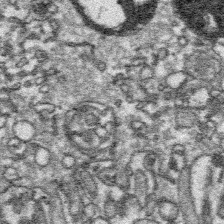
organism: Platynereis dumerilii